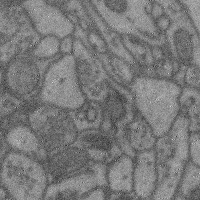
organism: Mouse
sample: Cerebral cortex